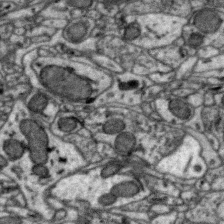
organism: Zebra finch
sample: Brain